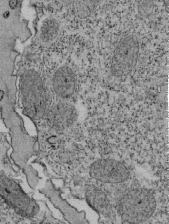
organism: Tetrahymena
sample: Cilia in tetrahymena